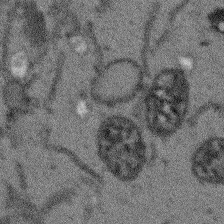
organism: Arabidopsis thaliana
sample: Root tip